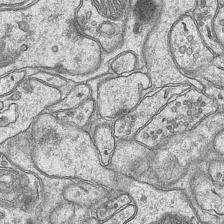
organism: Mouse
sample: CA1 Hippocampus